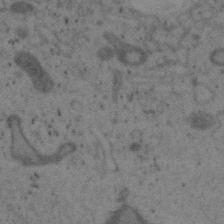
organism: Human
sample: HeLa cells